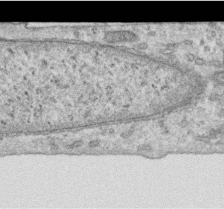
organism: Human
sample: Centriole in RPE cells